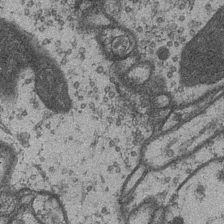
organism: Drosophila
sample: Optic medulla